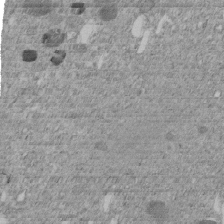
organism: C. elegans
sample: C. elegans embryo early stage